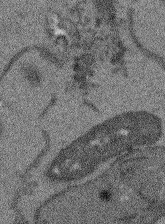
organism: Arabidopsis thaliana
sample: Root tip